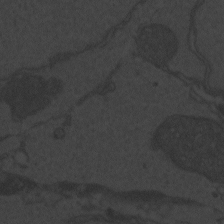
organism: Zebrafish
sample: Macrophage infected with Toxoplasma gondii